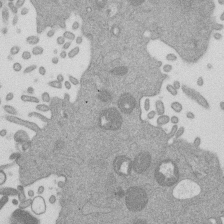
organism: Mouse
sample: Dividing mouse embryo 1 cell stage